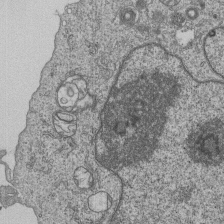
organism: Human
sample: MDA-MB-231 cells